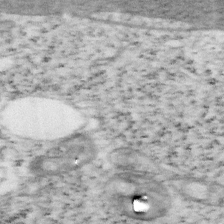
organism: Mouse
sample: OT-I killer T cells with ID8 ovarian cancer cells